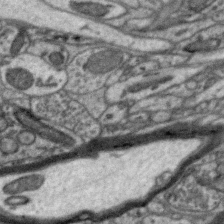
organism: Zebra finch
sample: Brain